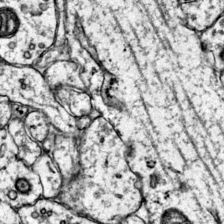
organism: Mouse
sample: Primary visual cortex